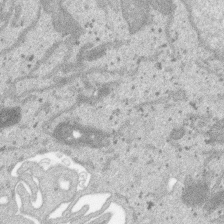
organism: Human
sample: Lung epithelial cells infected with SARS-CoV-2